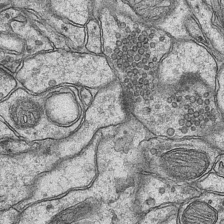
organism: Mouse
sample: CA1 Hippocampus